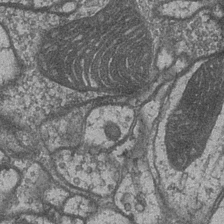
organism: Drosophila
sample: Optic medulla